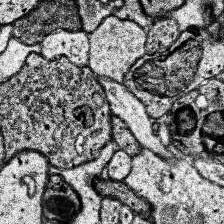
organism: Human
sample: Temporal Lobe